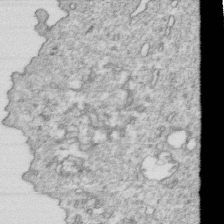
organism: Mouse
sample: Activated OT-1 CD8+ T cells